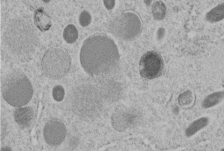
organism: C. elegans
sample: C. elegans embryo early stage